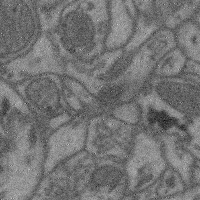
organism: Mouse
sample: Cerebral cortex